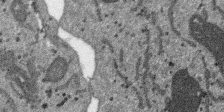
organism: Human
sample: Lung epithelial cells infected with SARS-CoV-2